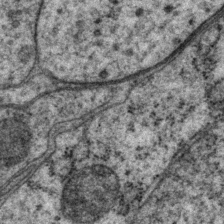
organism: P. pacificus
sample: Pharynx